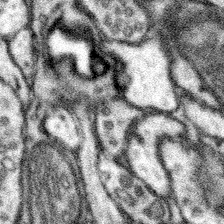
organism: Mouse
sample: Somatosensory cortex neuropil